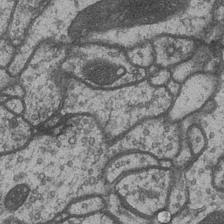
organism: Drosophila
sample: Optic medulla